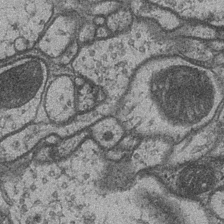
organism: Drosophila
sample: Optic medulla